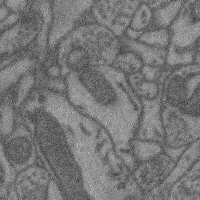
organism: Mouse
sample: Cerebral cortex